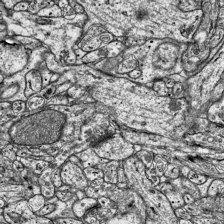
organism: Mouse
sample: Visual Cortex